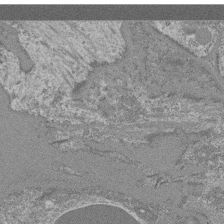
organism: Mouse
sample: Glomerulus